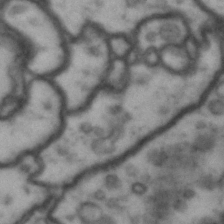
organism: Drosophila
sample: Brain